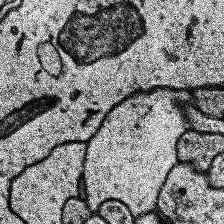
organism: Human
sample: Temporal Lobe